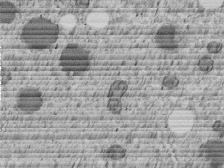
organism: C. elegans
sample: C. elegans embryo early stage